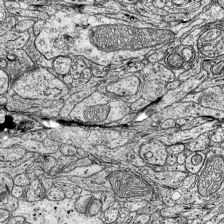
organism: Mouse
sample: Visual Cortex